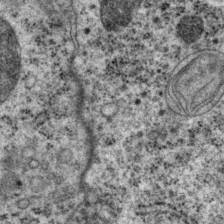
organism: P. pacificus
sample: Pharynx